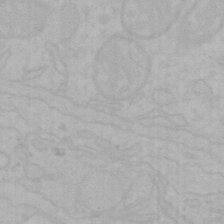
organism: Mouse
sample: Choroid plexus